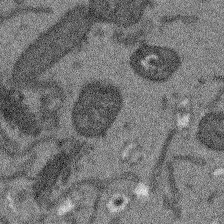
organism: Arabidopsis thaliana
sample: Root tip